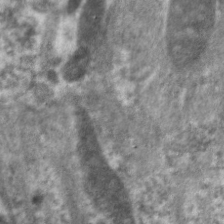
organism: C. elegans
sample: Pharynx